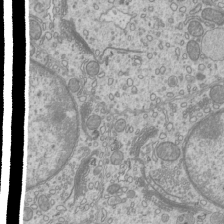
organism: Mouse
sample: Cilia; mouse epididymis